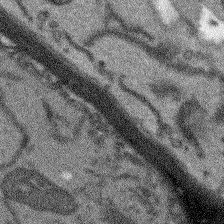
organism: Arabidopsis thaliana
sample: Root tip